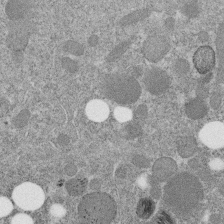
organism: C. elegans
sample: C. elegans embryo early stage